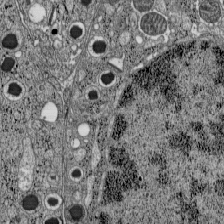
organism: C57BL Mouse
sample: Pancreatic islet